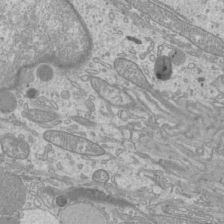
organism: Mouse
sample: Cilia; mouse epididymis